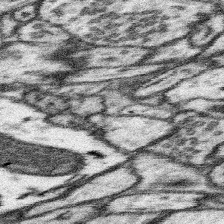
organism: Mouse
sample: Somatosensory cortex neuropil